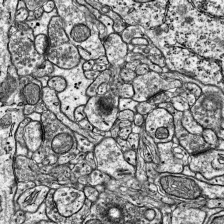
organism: Mouse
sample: Visual Cortex